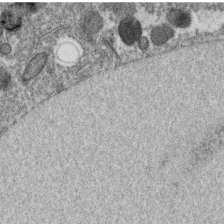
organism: C. elegans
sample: C. elegans oocyte; sperm cells